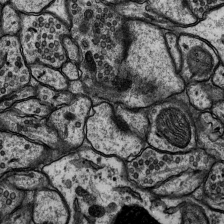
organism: Rat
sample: Hippocampus